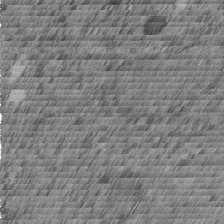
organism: C. elegans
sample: C. elegans embryo early stage